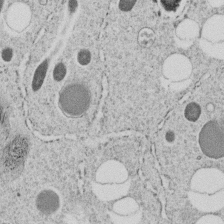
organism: C. elegans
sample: C. elegans embryo early stage